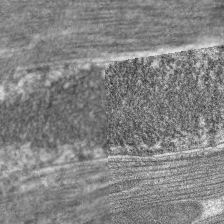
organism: C. elegans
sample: Pharynx